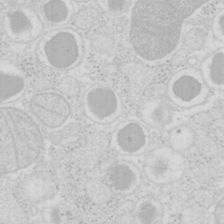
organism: Mouse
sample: Pancreas